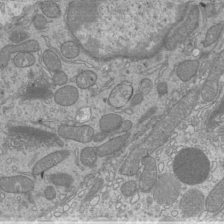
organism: Mouse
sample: Cilia; mouse epididymis